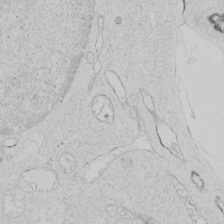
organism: Human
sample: Mitochondria in HCT116 cells